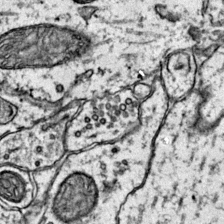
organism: Mouse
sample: Primary visual cortex